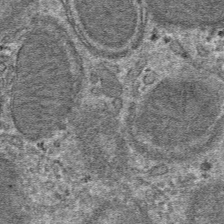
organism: Mouse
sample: Mouse hepatocytes